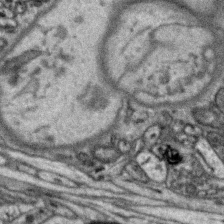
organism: Zebra finch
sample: Brain